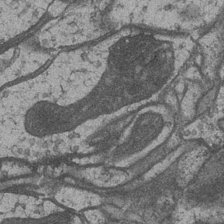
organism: Drosophila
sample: Optic medulla